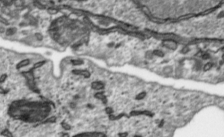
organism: Toxoplasma gondii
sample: Parasites in a vacuole inside a host cell